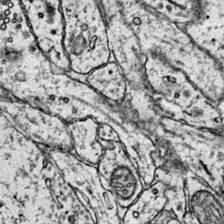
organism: Mouse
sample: Primary visual cortex